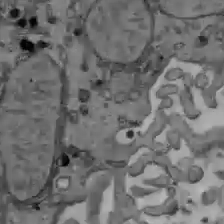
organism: C57BL Mouse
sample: Liver